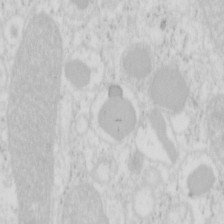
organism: Mouse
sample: Pancreas